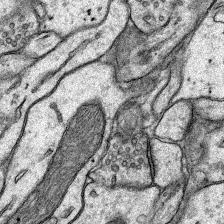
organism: Rat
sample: Hippocampus